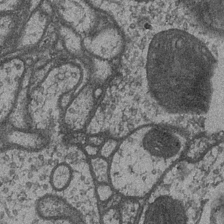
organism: Drosophila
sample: Optic medulla